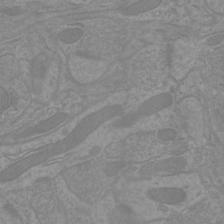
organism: Mouse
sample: Cortical neurons